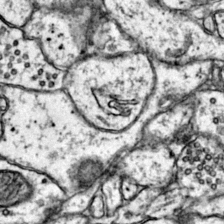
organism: Mouse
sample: Primary visual cortex